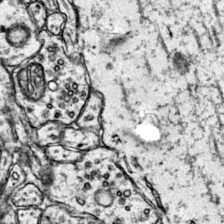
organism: Mouse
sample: Primary visual cortex